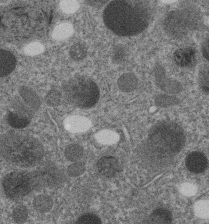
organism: C. elegans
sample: C. elegans embryo early stage